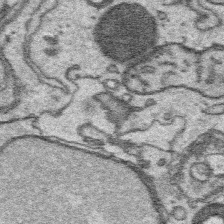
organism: Platynereis dumerilii